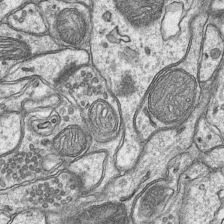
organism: Mouse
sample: CA1 Hippocampus